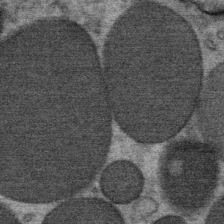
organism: Mouse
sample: Mouse Salivary gland